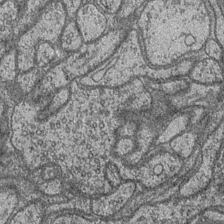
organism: Drosophila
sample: Optic medulla